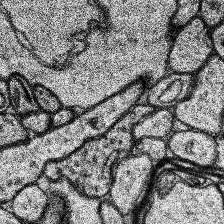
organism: Human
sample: Temporal Lobe